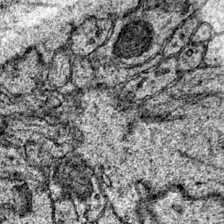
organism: Mouse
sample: Primary visual cortex